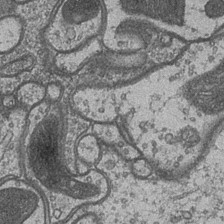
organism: Drosophila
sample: Optic medulla